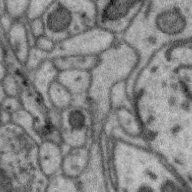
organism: Zebra finch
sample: Brain